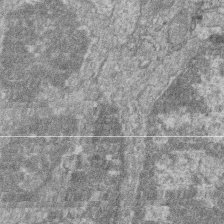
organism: Zebrafish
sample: Cilia; retinal pigment epithelium